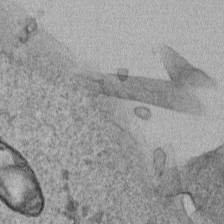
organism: Human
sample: Mitochondria in HCT116 cells